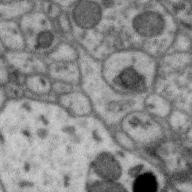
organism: Zebra finch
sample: Brain